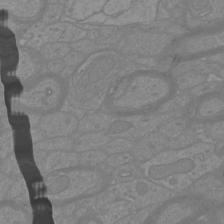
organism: Mouse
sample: Cortical neurons